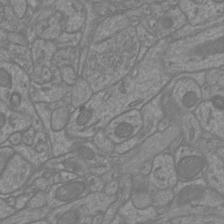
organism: Mouse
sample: Cortical neurons